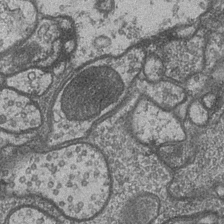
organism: Drosophila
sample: Optic medulla